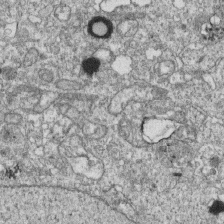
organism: Human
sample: HeLa cell HIV synapse